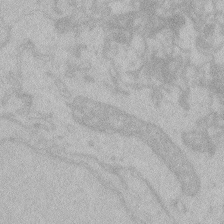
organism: Zebrafish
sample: Macrophage infected with Toxoplasma gondii